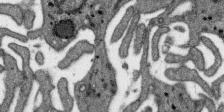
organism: Human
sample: Lung epithelial cells, uninfected (mock) control